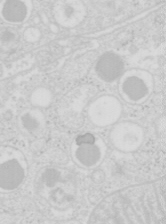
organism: Mouse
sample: Pancreas